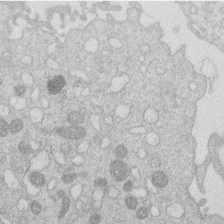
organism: Human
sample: Macrophage cells